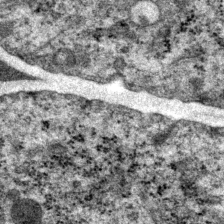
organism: P. pacificus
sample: Pharynx